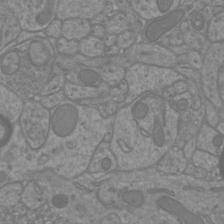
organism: Mouse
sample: Cortical neurons